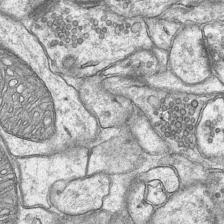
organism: Mouse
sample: CA1 Hippocampus